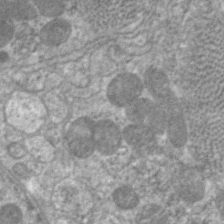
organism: C. elegans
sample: Pharynx